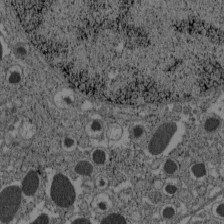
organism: C57BL Mouse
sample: Pancreatic islet